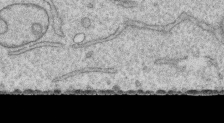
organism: Human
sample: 1205lu cells